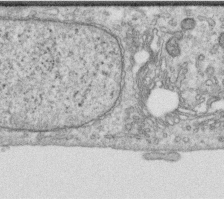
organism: Human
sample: Centriole in RPE cells